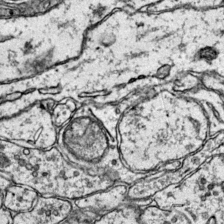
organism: Mouse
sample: Primary visual cortex